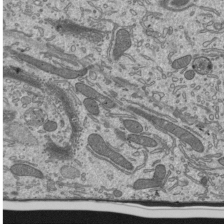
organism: Mouse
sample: Mouse epididymis efferent ductule cilia